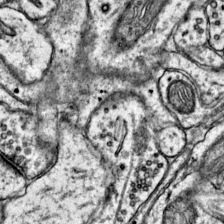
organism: Mouse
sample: Primary visual cortex